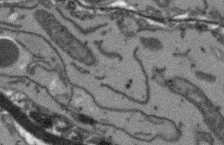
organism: Arabidopsis thaliana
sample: Root tip